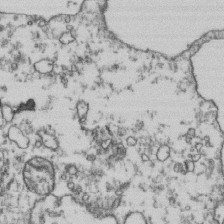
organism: Human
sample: Activated Jurkat CD4+ T cells